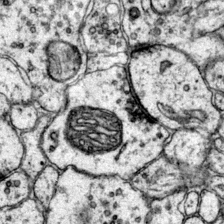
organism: Mouse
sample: Primary visual cortex